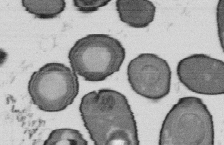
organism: B. subtilis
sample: Bacterial spore